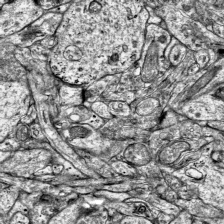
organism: Mouse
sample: Visual Cortex